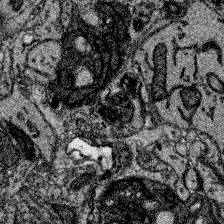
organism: Zebrafish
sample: Larval olfactory bulb